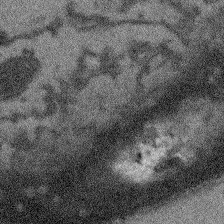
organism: Arabidopsis thaliana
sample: Root tip